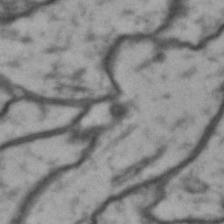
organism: Drosophila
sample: Brain